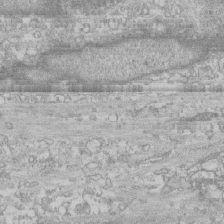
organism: Human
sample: CRL-1474